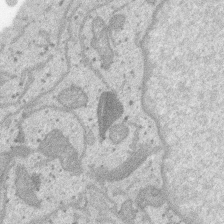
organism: Human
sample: Lung epithelial cells infected with SARS-CoV-2